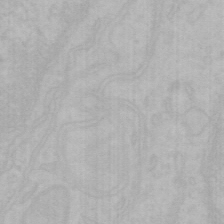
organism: Mouse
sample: Choroid plexus